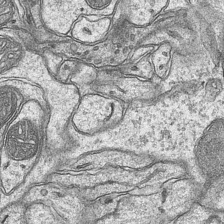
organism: Mouse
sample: CA1 Hippocampus